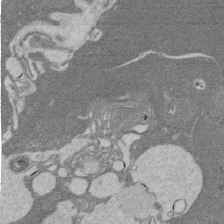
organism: Rat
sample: Salivary granule